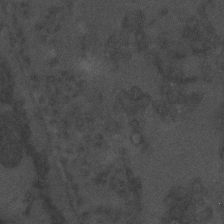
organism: C. elegans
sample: C. elegans embryo